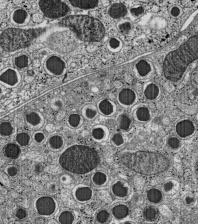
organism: C57BL Mouse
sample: Pancreatic islet